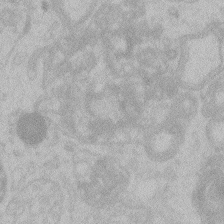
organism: Zebrafish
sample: Macrophage infected with Toxoplasma gondii